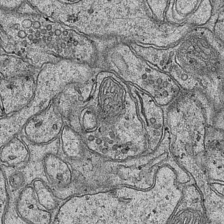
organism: Mouse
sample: CA1 Hippocampus